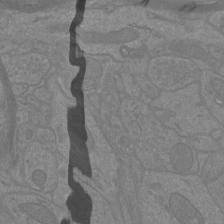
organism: Mouse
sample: Cortical neurons